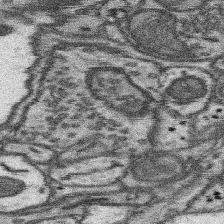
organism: Mouse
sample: Somatosensory cortex neuropil